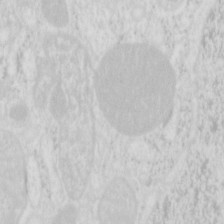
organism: Mouse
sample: Pancreas